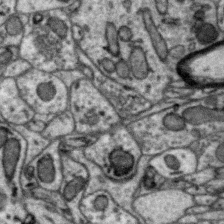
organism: Zebra finch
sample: Brain